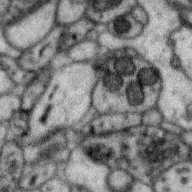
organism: Zebra finch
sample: Brain